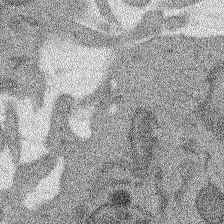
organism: Human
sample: HeLa cells